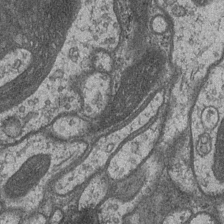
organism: Drosophila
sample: Optic medulla